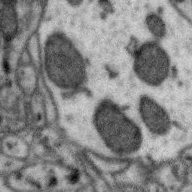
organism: Zebra finch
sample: Brain